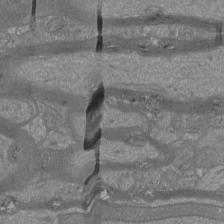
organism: Mouse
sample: Cortical neurons